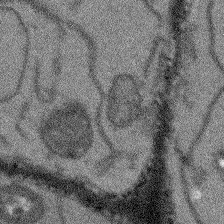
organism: Arabidopsis thaliana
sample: Root tip